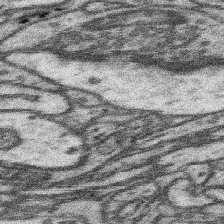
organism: Mouse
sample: Somatosensory cortex neuropil